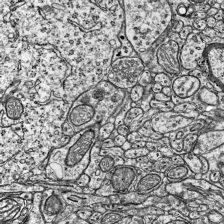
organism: Mouse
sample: Visual Cortex